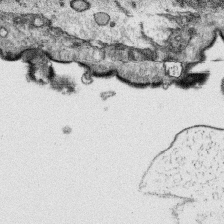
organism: Platynereis dumerilii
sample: Parapodia